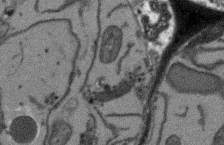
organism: Arabidopsis thaliana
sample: Root tip